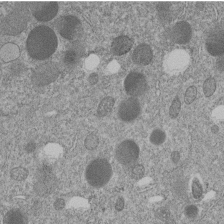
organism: C. elegans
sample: C. elegans embryo early stage